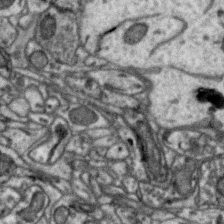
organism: Zebra finch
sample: Brain